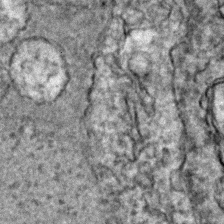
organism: Zebrafish